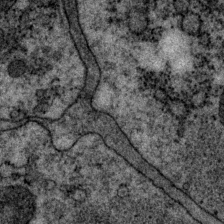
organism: P. pacificus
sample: Pharynx